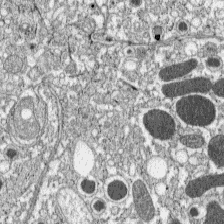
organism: C57BL Mouse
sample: Pancreatic islet